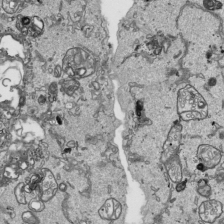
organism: Human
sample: Mitochondria in HCT116 cells